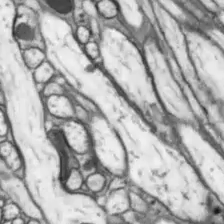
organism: Drosophila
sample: Optic lobe